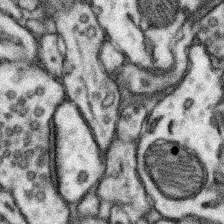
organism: Mouse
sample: Somatosensory cortex neuropil